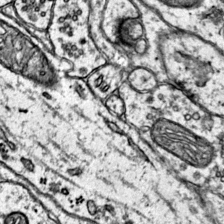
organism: Mouse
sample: Primary visual cortex